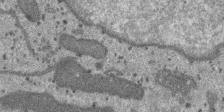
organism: Human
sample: Lung epithelial cells infected with SARS-CoV-2